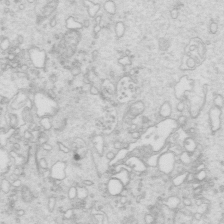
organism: Mouse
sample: Multiciliated cells